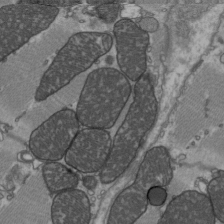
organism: C57BL Mouse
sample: Heart